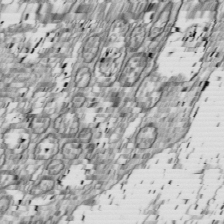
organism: Drosophila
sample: Cell division; meiosis; drosophila spermatocytes